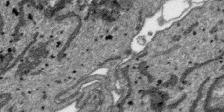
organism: Human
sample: Lung epithelial cells, uninfected (mock) control